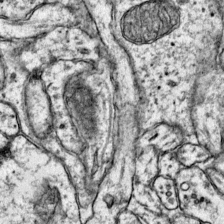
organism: Mouse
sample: Primary visual cortex